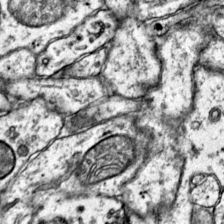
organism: Mouse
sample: Primary visual cortex